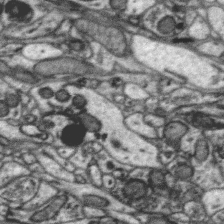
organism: Zebra finch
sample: Brain